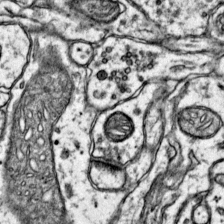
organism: Mouse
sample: Primary visual cortex